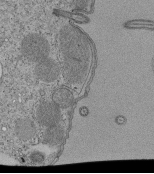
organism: Tetrahymena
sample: Cilia in tetrahymena